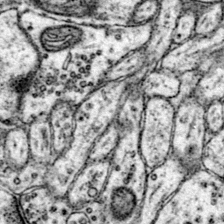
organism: Mouse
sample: Primary visual cortex